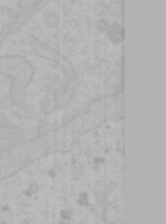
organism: Mouse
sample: Choroid plexus